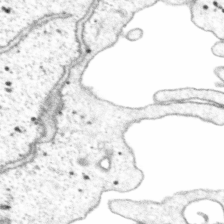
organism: Human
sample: HeLa cells